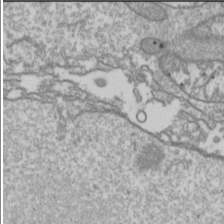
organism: Drosophila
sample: Cell division; meiosis; drosophila spermatocytes